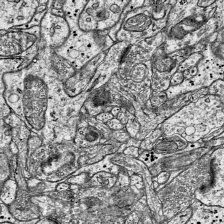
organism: Mouse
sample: Visual Cortex